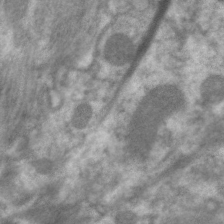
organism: C. elegans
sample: Pharynx